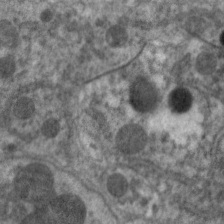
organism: C. elegans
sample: Pharynx